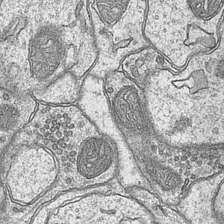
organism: Mouse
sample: CA1 Hippocampus